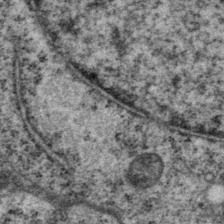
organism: P. pacificus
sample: Pharynx